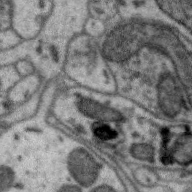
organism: Zebra finch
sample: Brain